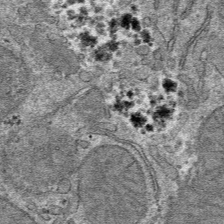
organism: Mouse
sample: Mouse hepatocytes